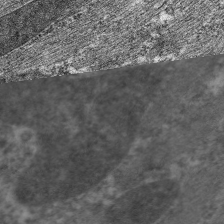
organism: C. elegans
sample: Pharynx